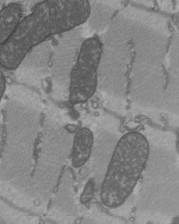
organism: C57BL Mouse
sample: Heart